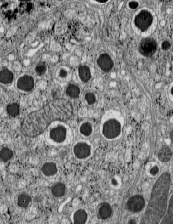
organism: C57BL Mouse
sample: Pancreatic islet